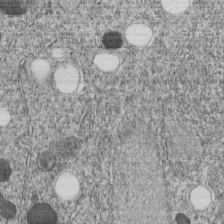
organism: C. elegans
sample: C. elegans embryo early stage